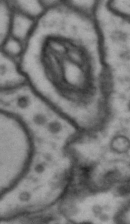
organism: Drosophila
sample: Brain